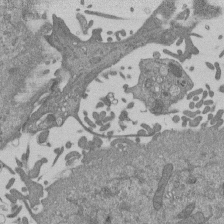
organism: Mouse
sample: ED-1 cell nuclei; centrioles